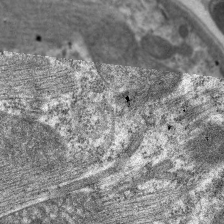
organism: C. elegans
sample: Pharynx